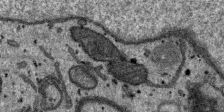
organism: Human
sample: Lung epithelial cells, uninfected (mock) control